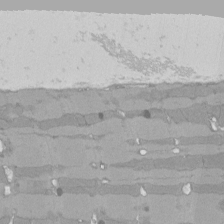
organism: Rat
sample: Left ventricle